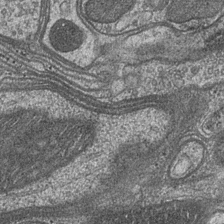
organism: Drosophila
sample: Optic medulla